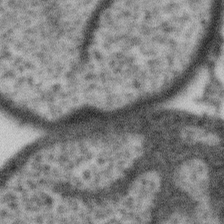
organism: Gemmata obscuriglobus